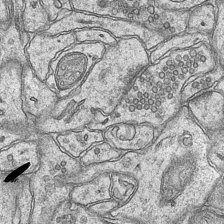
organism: Mouse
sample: CA1 Hippocampus